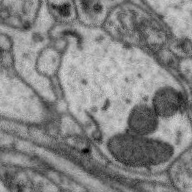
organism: Zebra finch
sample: Brain